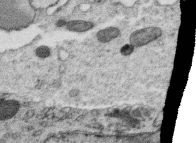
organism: C. elegans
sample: C. elegans oocyte; sperm cells